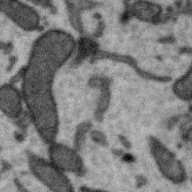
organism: Zebra finch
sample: Brain